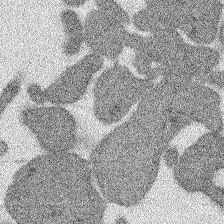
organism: Human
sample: HeLa cells